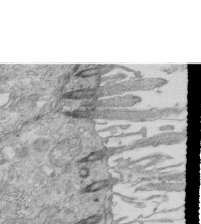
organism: Mouse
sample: Multiciliated cells